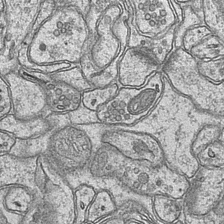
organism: Mouse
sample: CA1 Hippocampus